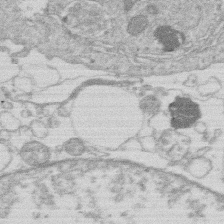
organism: Human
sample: Macrophage cells